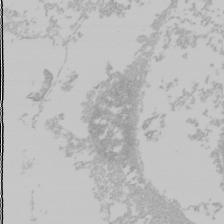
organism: Mouse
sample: Cancer cell death in ED-1 cells